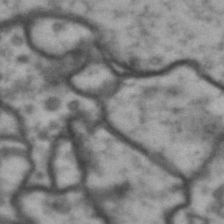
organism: Drosophila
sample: Brain